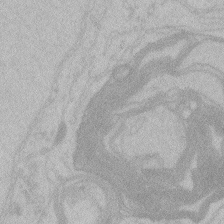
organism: Zebrafish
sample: Macrophage infected with Toxoplasma gondii